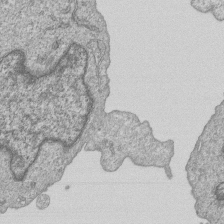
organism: Human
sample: MDA-MB-231 cells